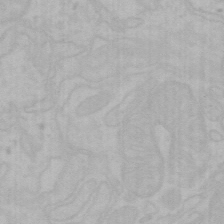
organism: Mouse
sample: Choroid plexus